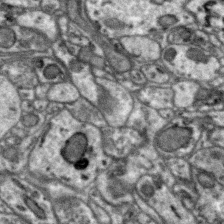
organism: Zebra finch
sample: Brain